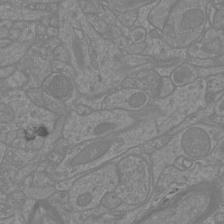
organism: Mouse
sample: Cortical neurons